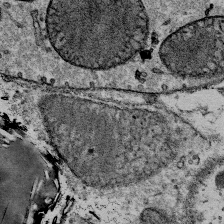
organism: Mouse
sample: Mouse Salivary gland